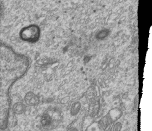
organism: Human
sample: MDA-MB-231 cells